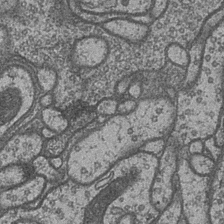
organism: Drosophila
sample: Optic medulla